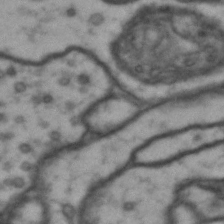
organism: Drosophila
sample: Brain